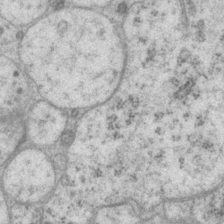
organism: P. pacificus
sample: Pharynx